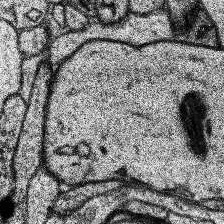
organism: Human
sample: Temporal Lobe